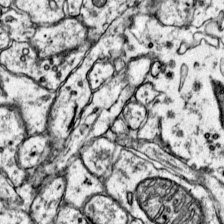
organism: Mouse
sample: Primary visual cortex